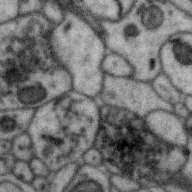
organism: Zebra finch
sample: Brain